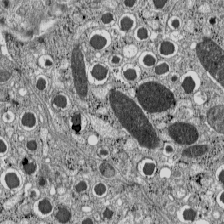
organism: C57BL Mouse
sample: Pancreatic islet